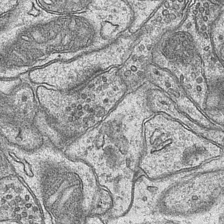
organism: Mouse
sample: CA1 Hippocampus